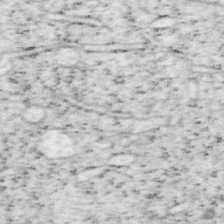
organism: Mouse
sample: OT-I killer T cells with ID8 ovarian cancer cells